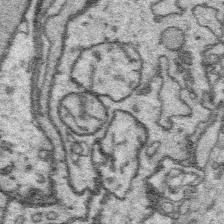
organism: Platynereis dumerilii